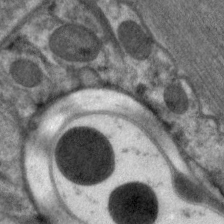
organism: C. elegans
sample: Pharynx